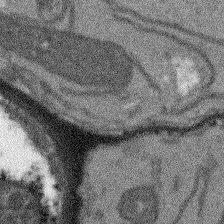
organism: Arabidopsis thaliana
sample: Root tip